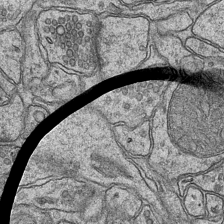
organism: Mouse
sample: CA1 Hippocampus